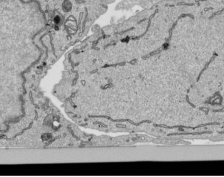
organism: Human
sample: Mitochondria in HCT116 cells